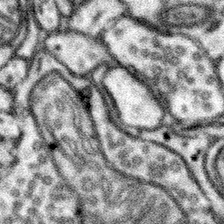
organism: Mouse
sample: Somatosensory cortex neuropil